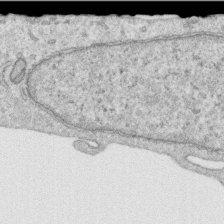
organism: Human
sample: Centriole in RPE cells